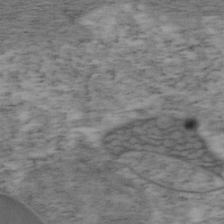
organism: Mouse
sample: OT-I killer T cells with ID8 ovarian cancer cells